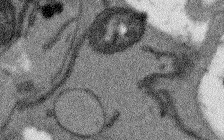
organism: Arabidopsis thaliana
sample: Root tip